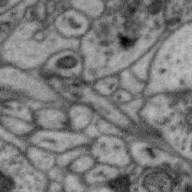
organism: Zebra finch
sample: Brain